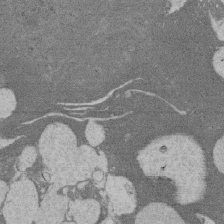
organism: Rat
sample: Salivary granule